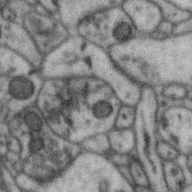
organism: Zebra finch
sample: Brain